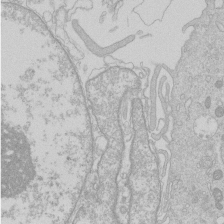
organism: Human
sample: Macrophage cells